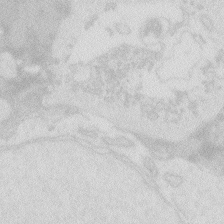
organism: Zebrafish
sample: Macrophage